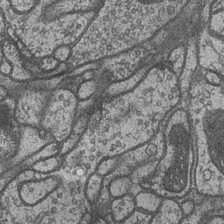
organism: Drosophila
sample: Optic medulla